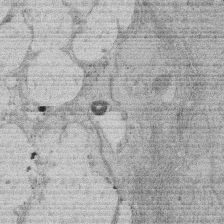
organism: Rat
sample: Salivary granule